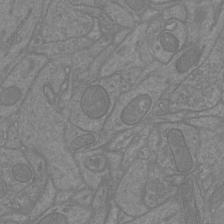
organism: Mouse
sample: Cortical neurons